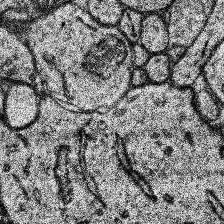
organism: Human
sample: Temporal Lobe